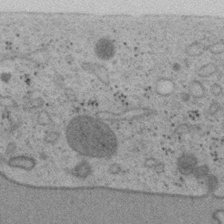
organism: Human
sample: HeLa cells